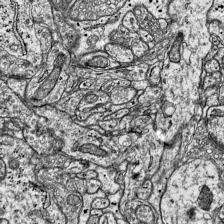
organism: Mouse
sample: Visual Cortex